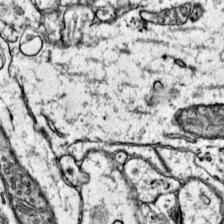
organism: Mouse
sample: Primary visual cortex